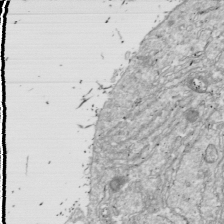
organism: Drosophila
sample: Cell division; meiosis; drosophila spermatocytes